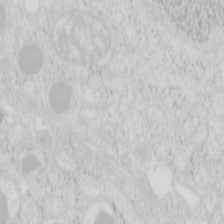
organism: Mouse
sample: Pancreas